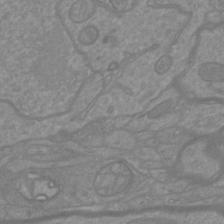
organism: Mouse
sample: Cortical neurons